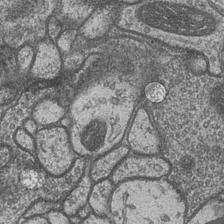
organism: Drosophila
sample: Optic medulla